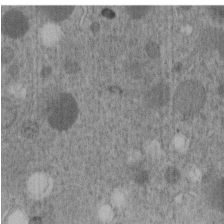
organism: C. elegans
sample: C. elegans embryo early stage